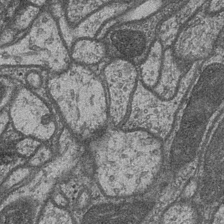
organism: Drosophila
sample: Optic medulla